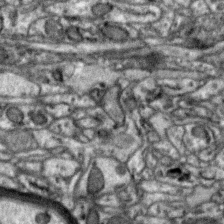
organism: Zebra finch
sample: Brain